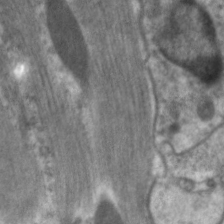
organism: C. elegans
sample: Pharynx